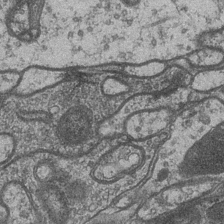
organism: Drosophila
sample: Optic medulla